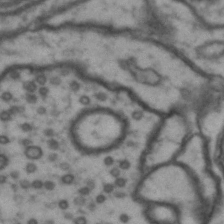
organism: Drosophila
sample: Brain